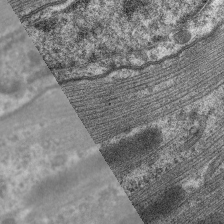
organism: C. elegans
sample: Pharynx